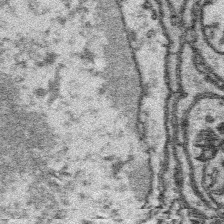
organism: Platynereis dumerilii